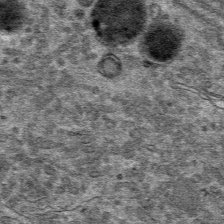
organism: Mouse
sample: Mouse hepatocytes